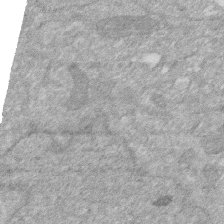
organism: Human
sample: HIV infected U937 cells